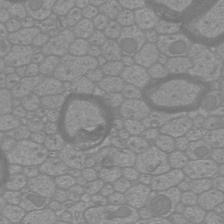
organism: Mouse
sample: Cortical neurons